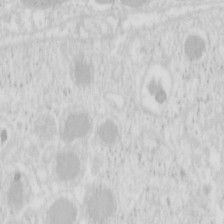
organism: Mouse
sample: Pancreas